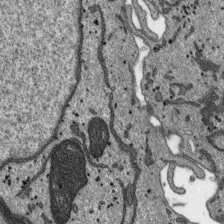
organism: Human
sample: Lung epithelial cells, uninfected (mock) control